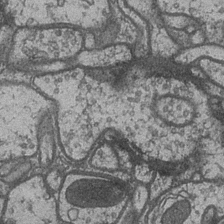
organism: Drosophila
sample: Optic medulla